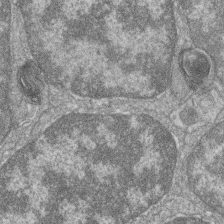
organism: Zebrafish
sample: Cilia; retinal pigment epithelium